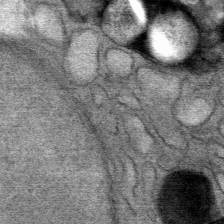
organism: Mouse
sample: Mouse Salivary gland